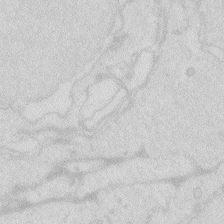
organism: Zebrafish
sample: Macrophage